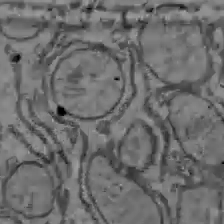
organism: C57BL Mouse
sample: Liver